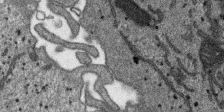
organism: Human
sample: Lung epithelial cells infected with SARS-CoV-2